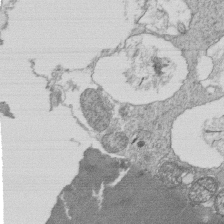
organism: Tetrahymena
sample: Cilia in tetrahymena